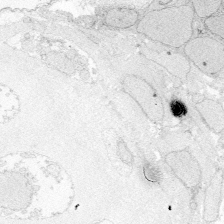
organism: Zebrafish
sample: Whole-Brain